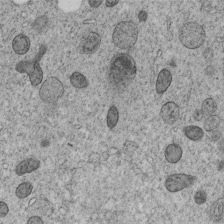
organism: C. elegans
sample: C. elegans embryo early stage